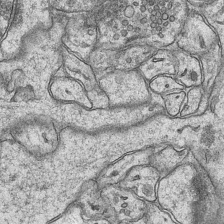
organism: Mouse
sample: CA1 Hippocampus